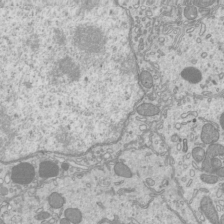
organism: Mouse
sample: Cilia; mouse epididymis